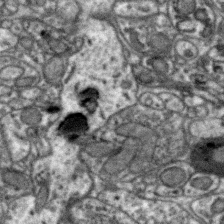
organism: Zebra finch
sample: Brain